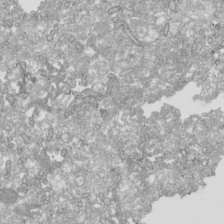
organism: Human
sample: Mitochondria in HCT116 cells